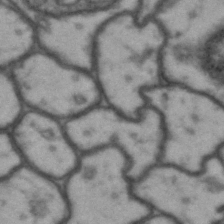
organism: Drosophila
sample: Brain